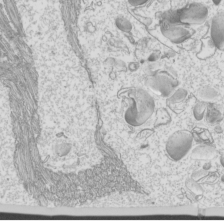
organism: Mouse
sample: Cilia; mouse epididymis